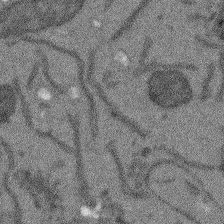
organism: Arabidopsis thaliana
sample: Root tip